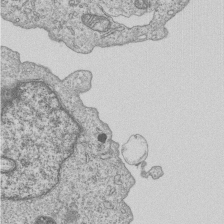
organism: Human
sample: MDA-MB-231 cells